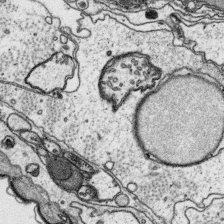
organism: Platynereis dumerilii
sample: Parapodia